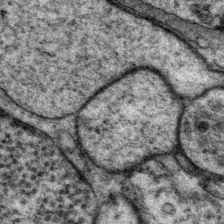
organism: P. pacificus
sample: Pharynx